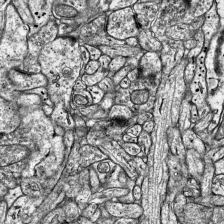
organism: Mouse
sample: Visual Cortex